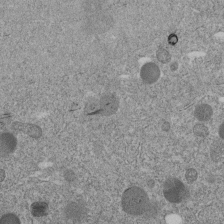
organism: C. elegans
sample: C. elegans embryo early stage